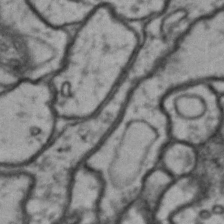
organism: Drosophila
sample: Brain